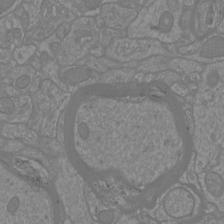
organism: Mouse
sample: Cortical neurons